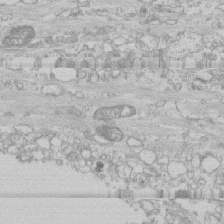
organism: Human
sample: CRL-1474